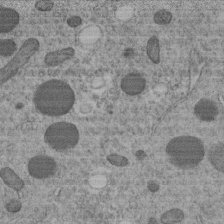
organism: C. elegans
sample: C. elegans embryo early stage